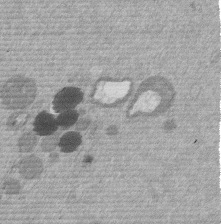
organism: Mouse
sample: Dividing mouse embryo 1 cell stage